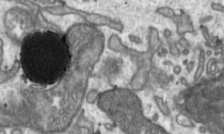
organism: Toxoplasma gondii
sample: Parasites in a vacuole inside a host cell